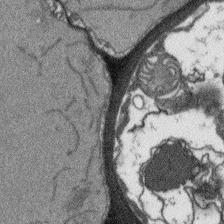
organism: Arabidopsis thaliana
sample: Root tip